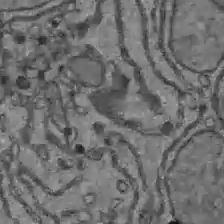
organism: C57BL Mouse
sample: Liver